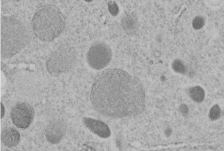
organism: C. elegans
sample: C. elegans embryo early stage